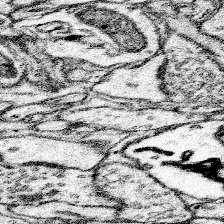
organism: Mouse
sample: Somatosensory cortex neuropil